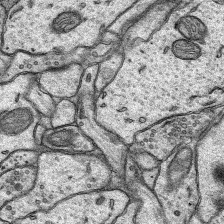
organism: Rat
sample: Hippocampus